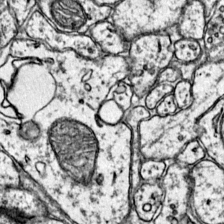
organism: Mouse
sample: Primary visual cortex